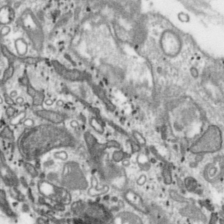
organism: Toxoplasma gondii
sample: Parasites in a vacuole inside a host cell